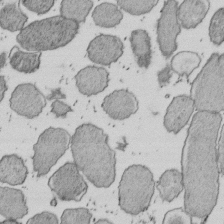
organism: E. coli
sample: Bacterial nucleoid